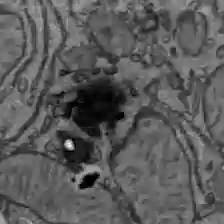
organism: C57BL Mouse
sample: Liver